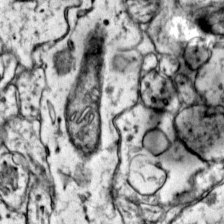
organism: Mouse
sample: Primary visual cortex